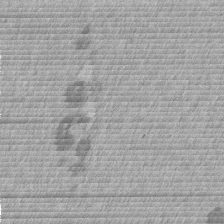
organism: Mouse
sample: Dividing mouse embryo 1 cell stage